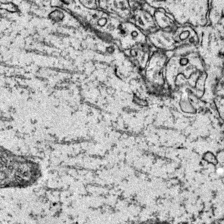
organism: Mouse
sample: Primary visual cortex